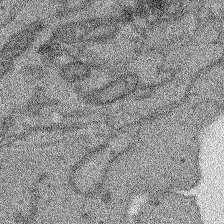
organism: Human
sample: HeLa cells